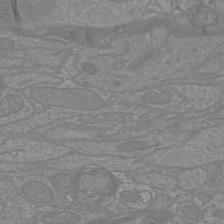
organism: Mouse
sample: Cortical neurons